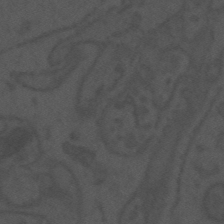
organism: Mouse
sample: Suprachiasmatic nucleus